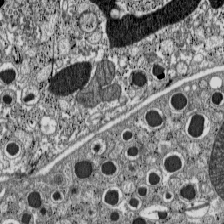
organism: C57BL Mouse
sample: Pancreatic islet